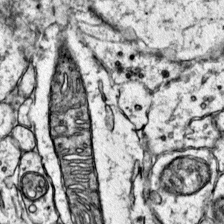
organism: Mouse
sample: Primary visual cortex